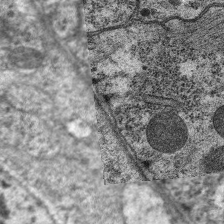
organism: C. elegans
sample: Pharynx